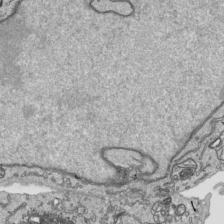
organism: Human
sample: Mitochondria in HCT116 cells